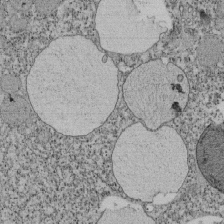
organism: Tetrahymena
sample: Cilia in tetrahymena